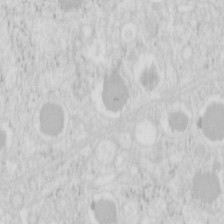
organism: Mouse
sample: Pancreas